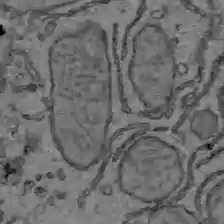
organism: C57BL Mouse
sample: Liver